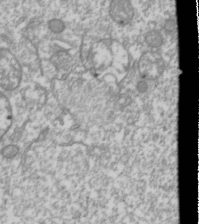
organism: Drosophila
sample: Cell division; meiosis; drosophila spermatocytes